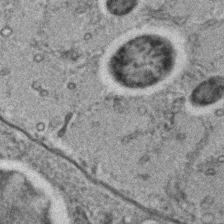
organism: C. elegans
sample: C. elegans embryo